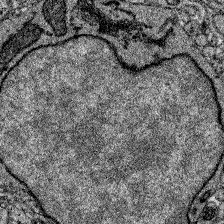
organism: Zebrafish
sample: Larval olfactory bulb